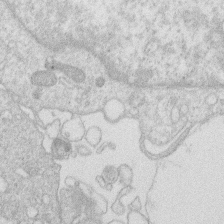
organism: Human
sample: Macrophage cells